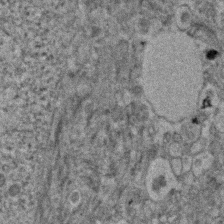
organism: Human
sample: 1205lu cells